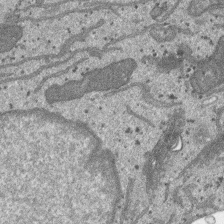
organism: Human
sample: Lung epithelial cells infected with SARS-CoV-2